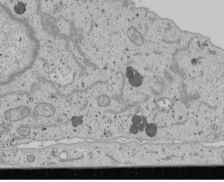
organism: Human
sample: Mitochondria in U2OS cells